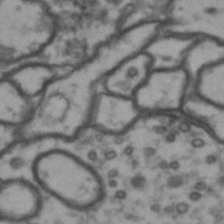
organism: Drosophila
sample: Brain